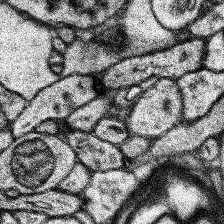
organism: Human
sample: Temporal Lobe